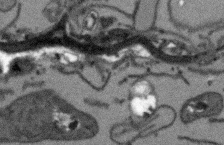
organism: Arabidopsis thaliana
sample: Root tip